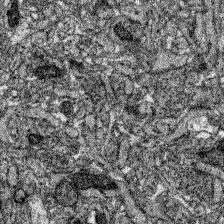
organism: Zebrafish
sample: Larval olfactory bulb